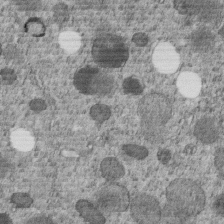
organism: C. elegans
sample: C. elegans embryo early stage